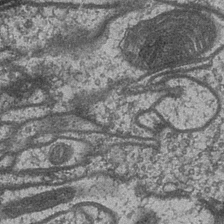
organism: Drosophila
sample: Optic medulla